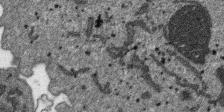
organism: Human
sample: Lung epithelial cells infected with SARS-CoV-2